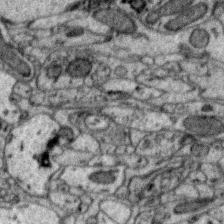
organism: Zebra finch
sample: Brain